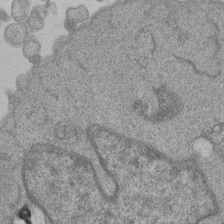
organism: Human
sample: MDA-MB-231 cells